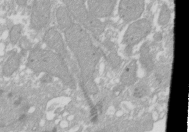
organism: Xenopus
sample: Cilia; centrioles in frog embryo cells